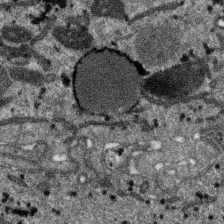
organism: Human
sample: Lung epithelial cells infected with SARS-CoV-2